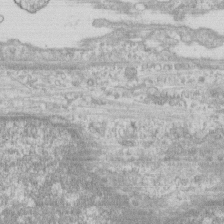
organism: Human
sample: CRL-1474